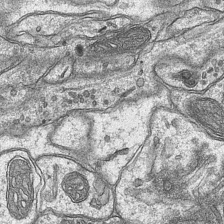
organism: Mouse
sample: CA1 Hippocampus